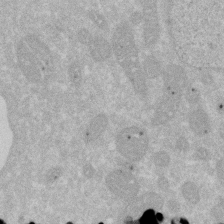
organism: Human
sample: HIV infected U937 cells